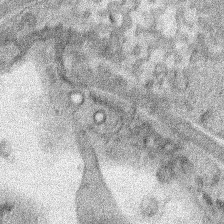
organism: Human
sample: Mitochondria in HCT116 cells